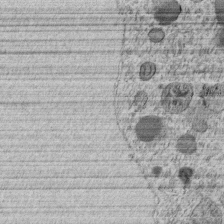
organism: C. elegans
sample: C. elegans embryo early stage